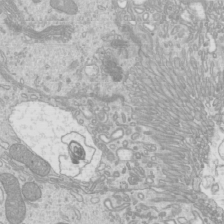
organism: Mouse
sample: Cilia; mouse epididymis